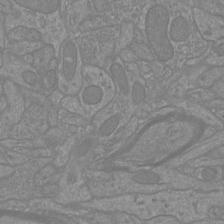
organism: Mouse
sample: Cortical neurons